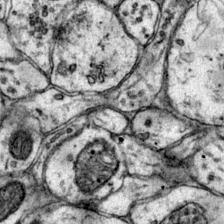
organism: Mouse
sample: Primary visual cortex